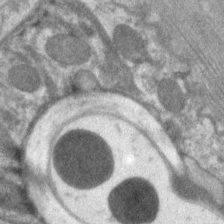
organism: C. elegans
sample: Pharynx